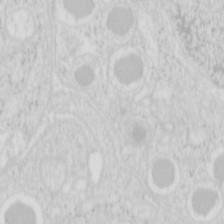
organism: Mouse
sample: Pancreas